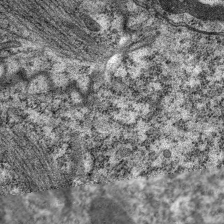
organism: C. elegans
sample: Pharynx